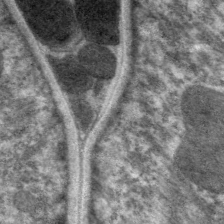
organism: C. elegans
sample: Pharynx